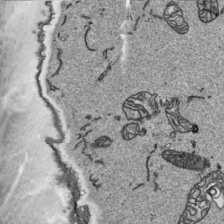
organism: Human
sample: Mitochondria in HCT116 cells